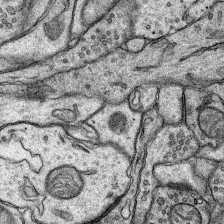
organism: Rat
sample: Hippocampus